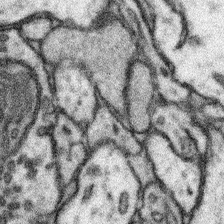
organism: Mouse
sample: Somatosensory cortex neuropil